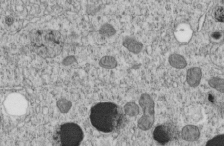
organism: C. elegans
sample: C. elegans embryo early stage